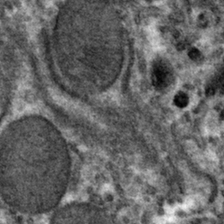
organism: Mouse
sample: Mouse hepatocytes